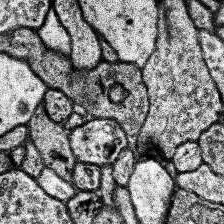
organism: Human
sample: Temporal Lobe